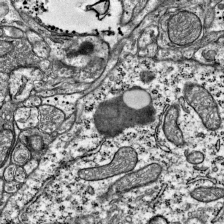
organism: Mouse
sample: Visual Cortex